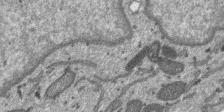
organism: Human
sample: Lung epithelial cells infected with SARS-CoV-2